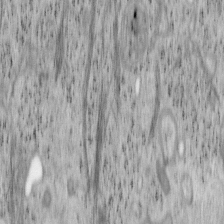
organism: Human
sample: HeLa cells